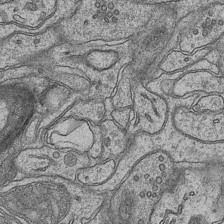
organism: Mouse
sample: CA1 Hippocampus